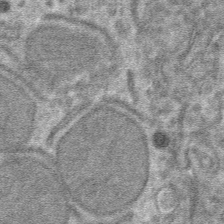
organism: Mouse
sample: Mouse hepatocytes